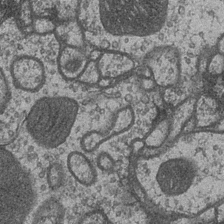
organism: Drosophila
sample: Optic medulla